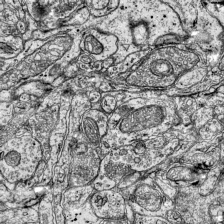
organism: Mouse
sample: Visual Cortex